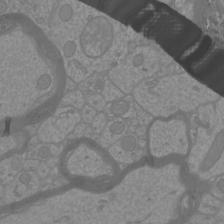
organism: Mouse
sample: Cortical neurons